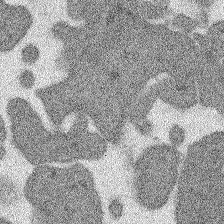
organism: Human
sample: HeLa cells